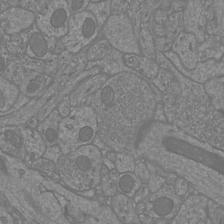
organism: Mouse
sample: Cortical neurons